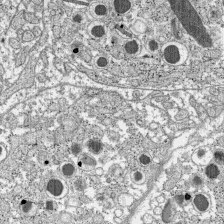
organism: C57BL Mouse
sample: Pancreatic islet